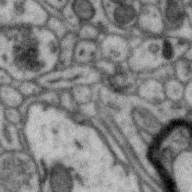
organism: Zebra finch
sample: Brain